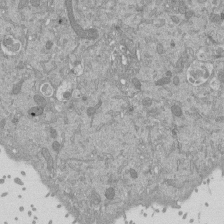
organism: Mouse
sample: ED-1 cell nuclei; centrioles